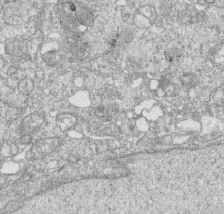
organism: Human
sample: HeLa cell HIV synapse